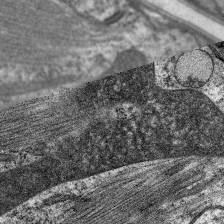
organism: C. elegans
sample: Pharynx